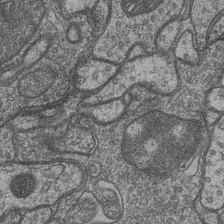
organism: Drosophila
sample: Optic medulla